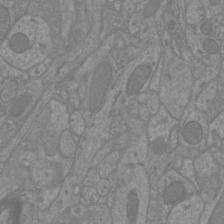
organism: Mouse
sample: Cortical neurons